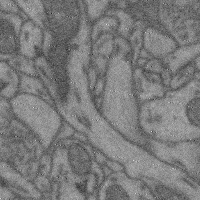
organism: Mouse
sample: Cerebral cortex